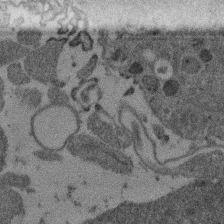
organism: Mouse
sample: Dividing mouse embryo 1 cell stage